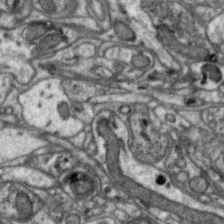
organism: Zebra finch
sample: Brain